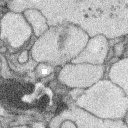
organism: Rabbit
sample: Retina